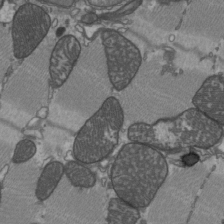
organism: C57BL Mouse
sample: Heart